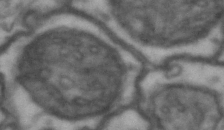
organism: Drosophila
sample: Brain